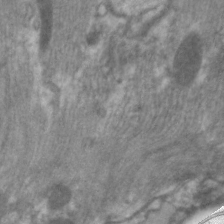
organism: C. elegans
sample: Pharynx